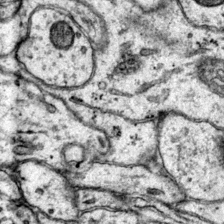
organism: Mouse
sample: Primary visual cortex